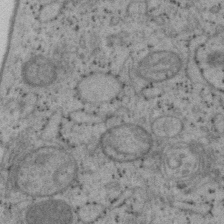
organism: Human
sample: HeLa cells